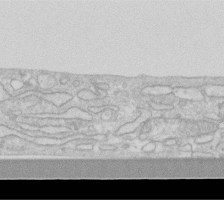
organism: Human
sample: Fibroblast cells